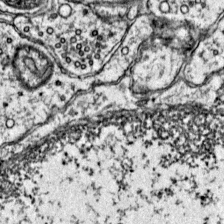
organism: Mouse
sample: Primary visual cortex